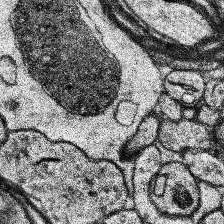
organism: Human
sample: Temporal Lobe